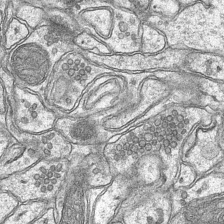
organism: Mouse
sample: CA1 Hippocampus